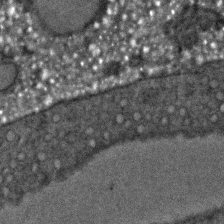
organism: C. elegans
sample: C. elegans embryo